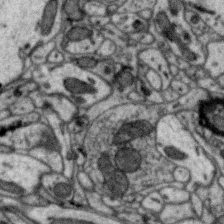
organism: Zebra finch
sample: Brain